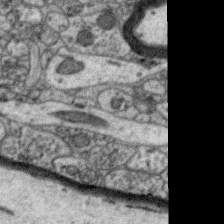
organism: Zebra finch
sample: Brain